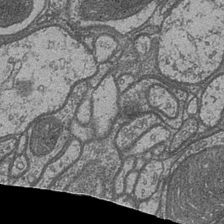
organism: Drosophila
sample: Optic medulla